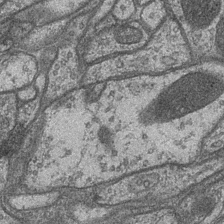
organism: Drosophila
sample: Optic medulla